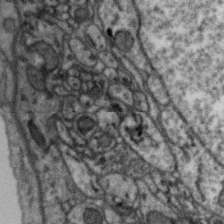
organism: Zebra finch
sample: Brain